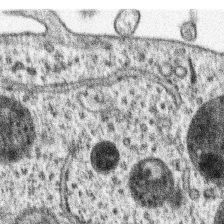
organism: Human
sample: HeLa cells